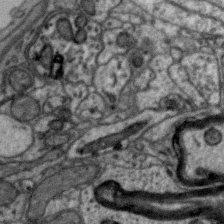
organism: Zebra finch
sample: Brain